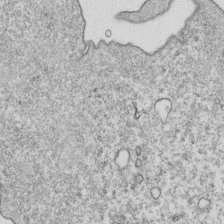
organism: Mouse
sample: Activated OT-1 CD8+ T cells